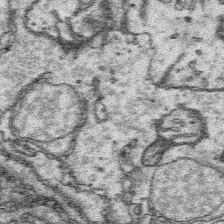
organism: Platynereis dumerilii